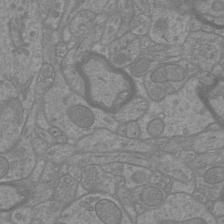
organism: Mouse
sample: Cortical neurons